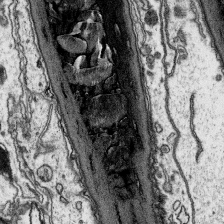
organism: Platynereis dumerilii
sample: Parapodia